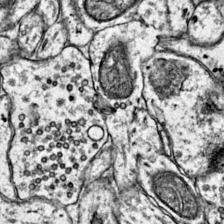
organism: Mouse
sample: Primary visual cortex